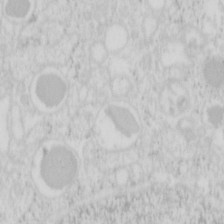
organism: Mouse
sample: Pancreas